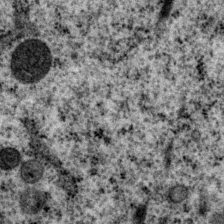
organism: P. pacificus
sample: Pharynx